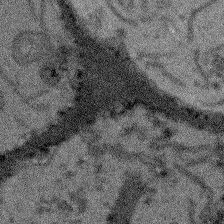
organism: Arabidopsis thaliana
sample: Root tip